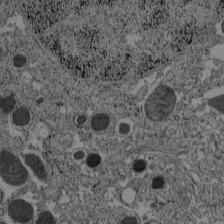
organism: C57BL Mouse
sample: Pancreatic islet